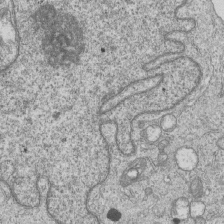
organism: Human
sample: MDA-MB-231 cells